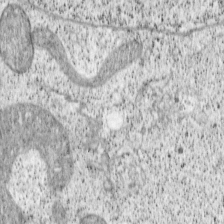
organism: African green monkey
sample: COS-7 cells